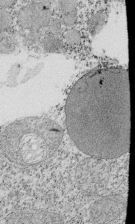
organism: Tetrahymena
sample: Cilia in tetrahymena